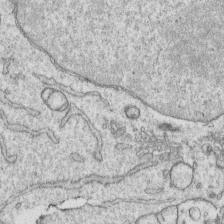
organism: Human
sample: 1205lu cells